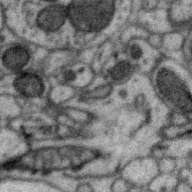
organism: Zebra finch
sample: Brain